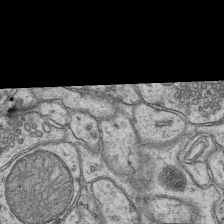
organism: Mouse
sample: CA1 Hippocampus